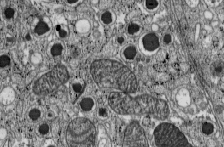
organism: C57BL Mouse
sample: Pancreatic islet